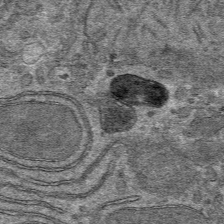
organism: Mouse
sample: Mouse hepatocytes